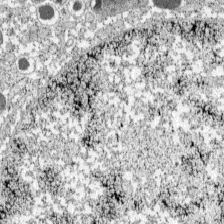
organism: C57BL Mouse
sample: Pancreatic islet